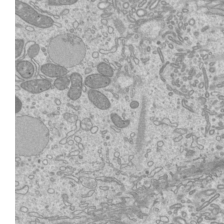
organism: Mouse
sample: Cilia; mouse epididymis